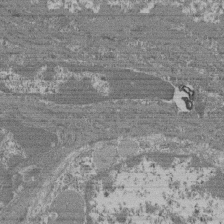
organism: Mouse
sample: Glomerulus